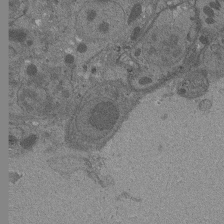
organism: Drosophila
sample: Antenna